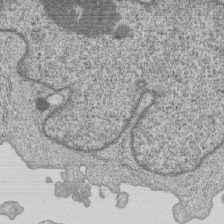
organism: Human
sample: MDA-MB-231 cells